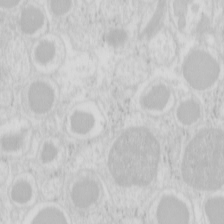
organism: Mouse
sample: Pancreas